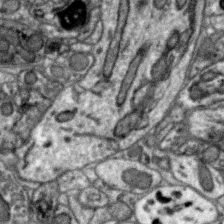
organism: Zebra finch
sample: Brain